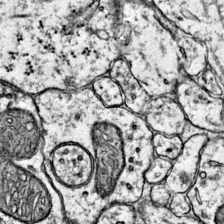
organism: Mouse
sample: Primary visual cortex